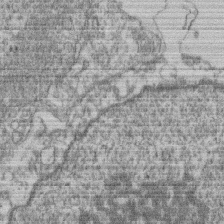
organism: Mouse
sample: T cell stromal cell synapse